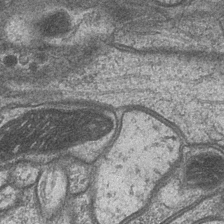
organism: Drosophila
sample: Optic medulla